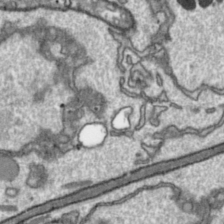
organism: Toxoplasma gondii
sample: Parasites in a vacuole inside a host cell